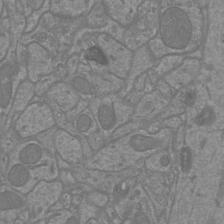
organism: Mouse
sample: Cortical neurons